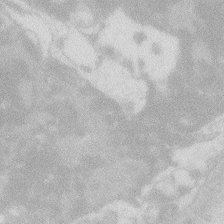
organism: Zebrafish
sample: Macrophage